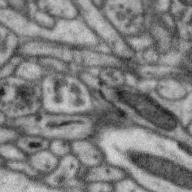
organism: Zebra finch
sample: Brain